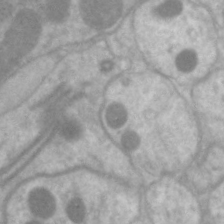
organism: C. elegans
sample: Pharynx